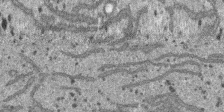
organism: Human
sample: Lung epithelial cells infected with SARS-CoV-2